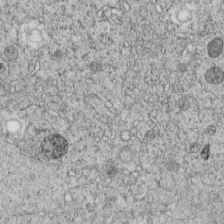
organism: C. elegans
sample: C. elegans embryo early stage